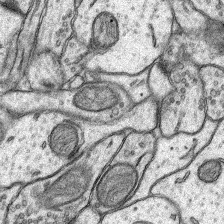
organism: Rat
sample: Hippocampus